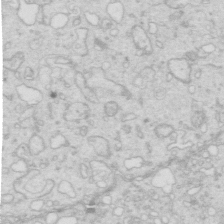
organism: Mouse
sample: Multiciliated cells